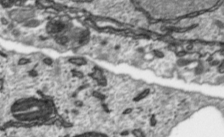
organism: Toxoplasma gondii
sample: Parasites in a vacuole inside a host cell